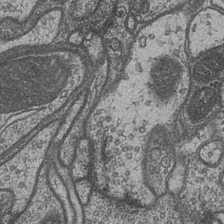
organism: Drosophila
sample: Optic medulla